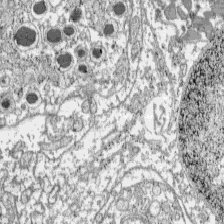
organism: C57BL Mouse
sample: Pancreatic islet